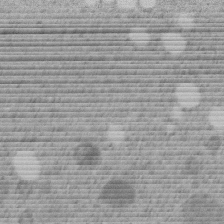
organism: C. elegans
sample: C. elegans embryo early stage